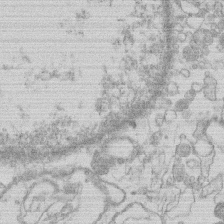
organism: Human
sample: Macrophage cells